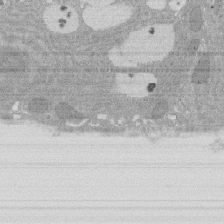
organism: Rat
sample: Salivary granule